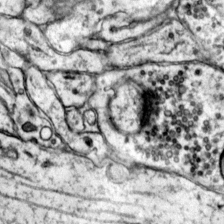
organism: Mouse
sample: Primary visual cortex